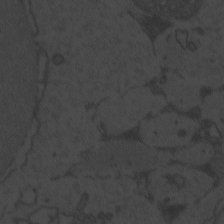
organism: Zebrafish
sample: Macrophage infected with Toxoplasma gondii